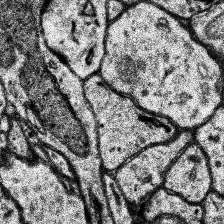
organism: Human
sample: Temporal Lobe